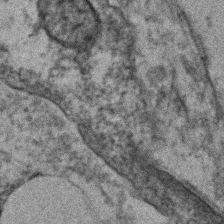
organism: Human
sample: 1205lu cells